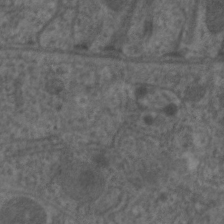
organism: C. elegans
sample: Pharynx